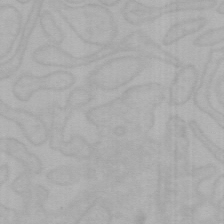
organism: Mouse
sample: Choroid plexus